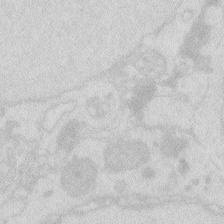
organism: Zebrafish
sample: Macrophage